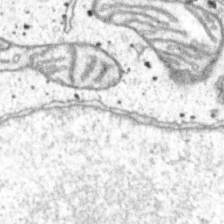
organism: Human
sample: HeLa cells